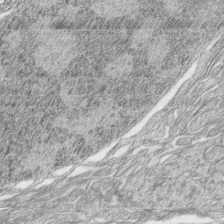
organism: Zebrafish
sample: synaptic ribbons in rod cells and cone cells